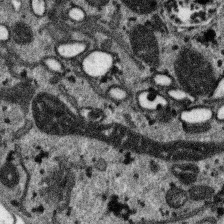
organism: Human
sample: Lung epithelial cells infected with SARS-CoV-2